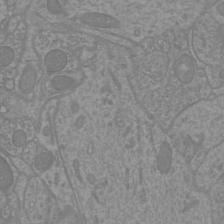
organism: Mouse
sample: Cortical neurons